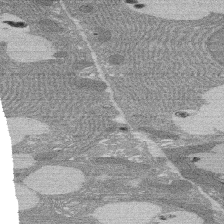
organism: Rat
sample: Salivary granule